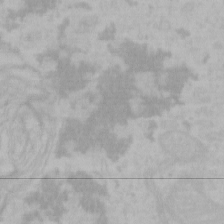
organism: Mouse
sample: Choroid plexus